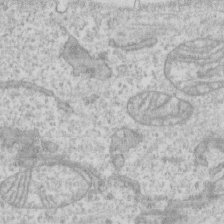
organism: Human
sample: CRL-1474